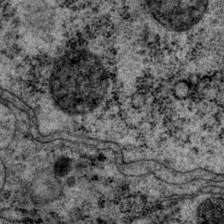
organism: P. pacificus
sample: Pharynx